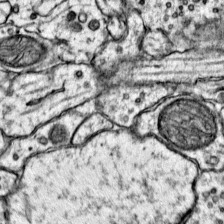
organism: Mouse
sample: Primary visual cortex